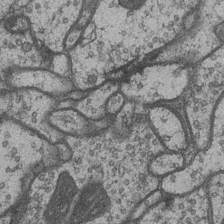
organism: Drosophila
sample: Optic medulla